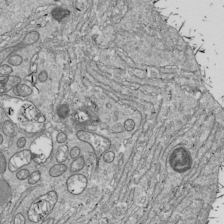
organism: Drosophila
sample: Cell division; meiosis; drosophila spermatocytes